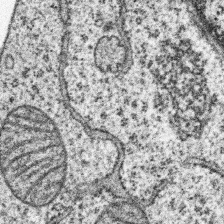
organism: Human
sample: HeLa cells